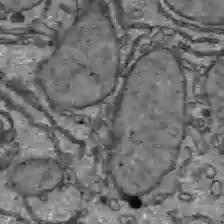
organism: C57BL Mouse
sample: Liver